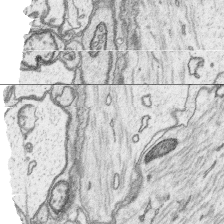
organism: Platynereis dumerilii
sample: Parapodia